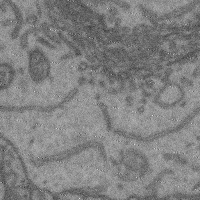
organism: Mouse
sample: Cerebral cortex